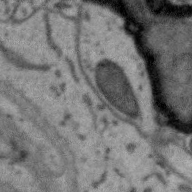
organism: Zebra finch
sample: Brain